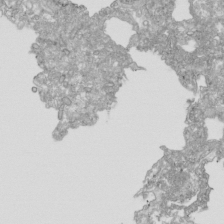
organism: Human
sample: Mitochondria in HCT116 cells